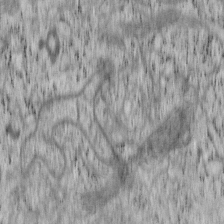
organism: Human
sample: HeLa cells